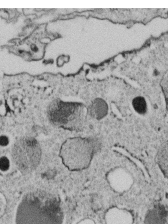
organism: C. elegans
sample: C. elegans embryo early stage